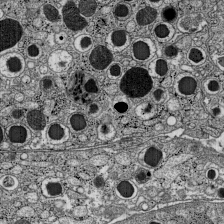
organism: C57BL Mouse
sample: Pancreatic islet